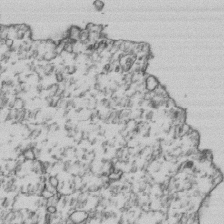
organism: Human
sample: Activated Jurkat CD4+ T cells